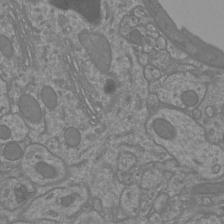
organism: Mouse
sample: Cortical neurons